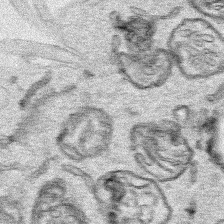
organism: Human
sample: Mitochondria in HCT116 cells